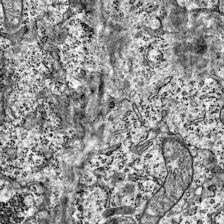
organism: Mouse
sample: Visual Cortex